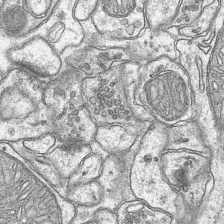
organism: Mouse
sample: CA1 Hippocampus